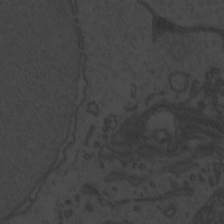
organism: Zebrafish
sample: Macrophage infected with Toxoplasma gondii